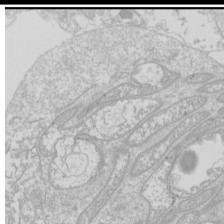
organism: Drosophila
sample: Cell division; meiosis; drosophila spermatocytes